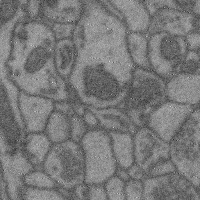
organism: Mouse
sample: Cerebral cortex